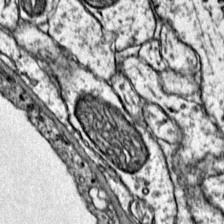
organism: Mouse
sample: Primary visual cortex